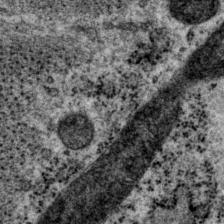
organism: P. pacificus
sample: Pharynx